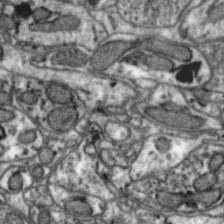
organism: Zebra finch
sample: Brain